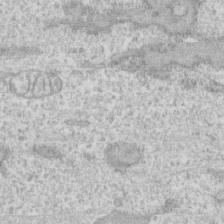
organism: Human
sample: CRL-1474